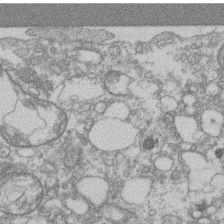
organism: Mouse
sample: T cell stromal cell synapse